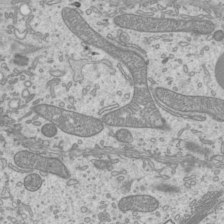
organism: Mouse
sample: Cilia; mouse epididymis